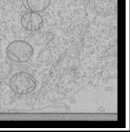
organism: Human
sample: Mitochondria in HCT116 cells